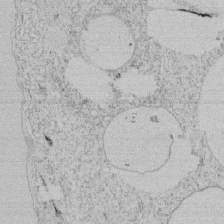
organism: Tetrahymena